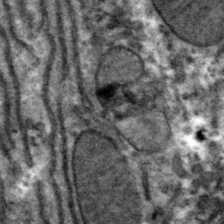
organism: Mouse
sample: Mouse hepatocytes